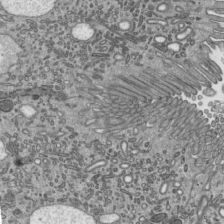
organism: Mouse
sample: Mouse epididymis efferent ductule cilia